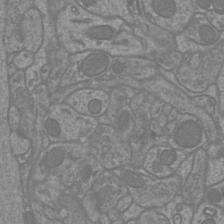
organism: Mouse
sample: Cortical neurons